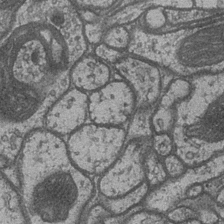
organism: Drosophila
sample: Optic medulla